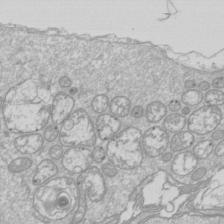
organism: Drosophila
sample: Cell division; meiosis; drosophila spermatocytes